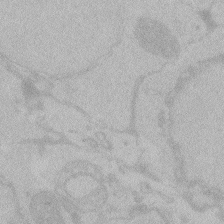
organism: Zebrafish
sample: Macrophage infected with Toxoplasma gondii